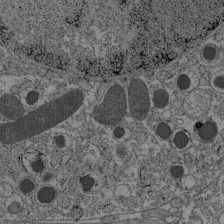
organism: C57BL Mouse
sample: Pancreatic islet